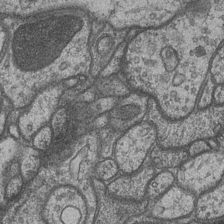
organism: Drosophila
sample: Optic medulla